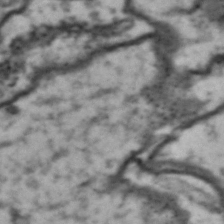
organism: Drosophila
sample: Brain